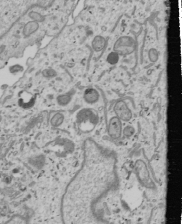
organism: Human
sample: Mitochondria in U2OS cells